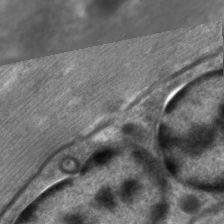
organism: C. elegans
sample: Pharynx